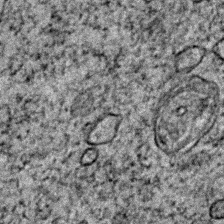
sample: Trachea